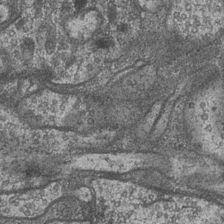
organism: Drosophila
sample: Optic medulla